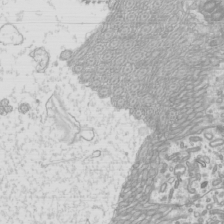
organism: Mouse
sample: Cilia; mouse epididymis